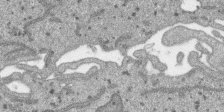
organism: Human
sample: Lung epithelial cells infected with SARS-CoV-2